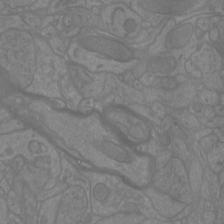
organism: Mouse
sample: Cortical neurons